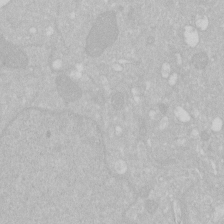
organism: Human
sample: HIV infected U937 cells